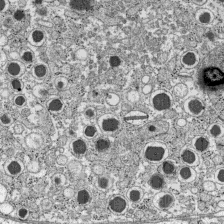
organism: C57BL Mouse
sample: Pancreatic islet